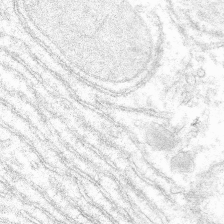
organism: Mouse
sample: Mouse hepatocytes